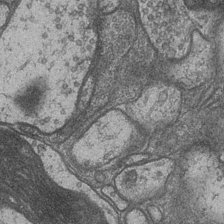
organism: Drosophila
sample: Optic medulla